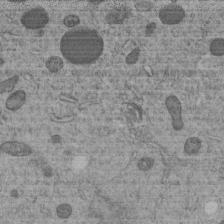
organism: C. elegans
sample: C. elegans embryo early stage